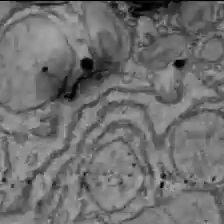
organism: C57BL Mouse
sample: Liver